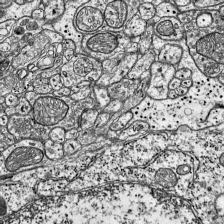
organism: Mouse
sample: Visual Cortex